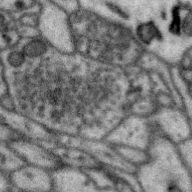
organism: Zebra finch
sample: Brain